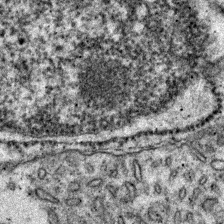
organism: Zebrafish